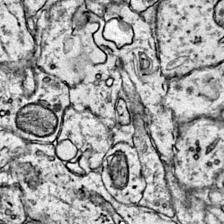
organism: Mouse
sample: Primary visual cortex